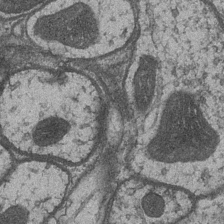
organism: Drosophila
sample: Optic medulla